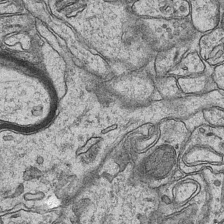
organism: Mouse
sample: CA1 Hippocampus